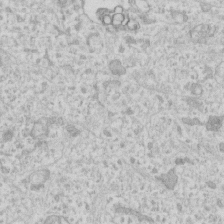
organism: Human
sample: Fibroblast cells